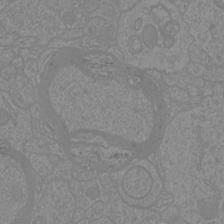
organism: Mouse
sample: Cortical neurons